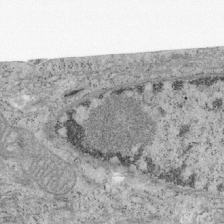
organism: Human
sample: HeLa cells